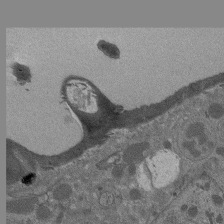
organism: Drosophila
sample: Antenna